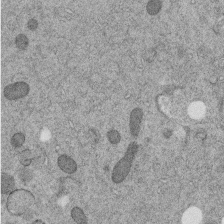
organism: C. elegans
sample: C. elegans embryo early stage